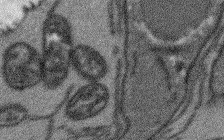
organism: Arabidopsis thaliana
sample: Root tip